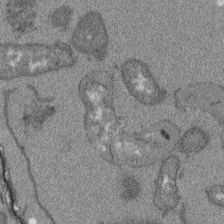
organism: Arabidopsis thaliana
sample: Root tip